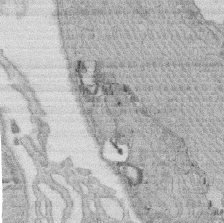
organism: Rat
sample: Salivary granule